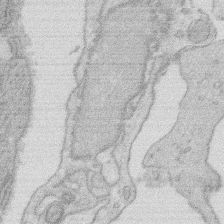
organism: Rat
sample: Salivary granule